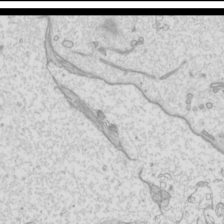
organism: Mouse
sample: Cilia; mouse epididymis